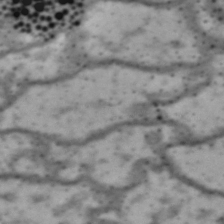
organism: Drosophila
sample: Brain